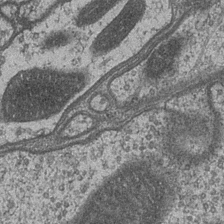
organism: Drosophila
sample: Optic medulla